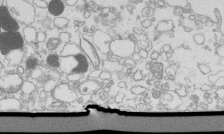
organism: Mouse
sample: Macrophages